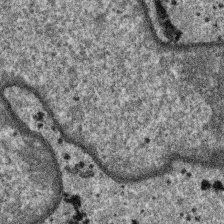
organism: Human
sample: Lung epithelial cells infected with SARS-CoV-2